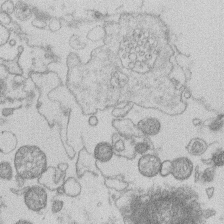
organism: Human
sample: Macrophage cells